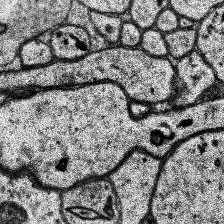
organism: Human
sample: Temporal Lobe